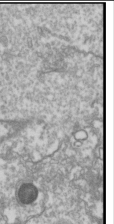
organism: Drosophila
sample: Cell division; meiosis; drosophila spermatocytes